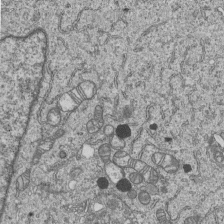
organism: Human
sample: MDA-MB-231 cells